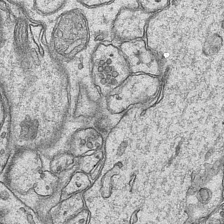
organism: Mouse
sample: CA1 Hippocampus